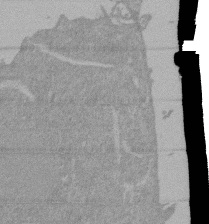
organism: Mouse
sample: ED-1 cell nuclei; centrioles